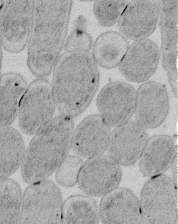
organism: E. coli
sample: Bacterial nucleoid